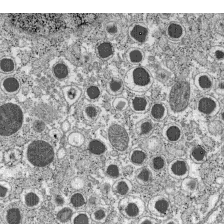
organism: C57BL Mouse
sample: Pancreatic islet